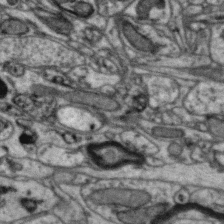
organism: Zebra finch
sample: Brain